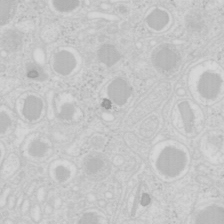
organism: Mouse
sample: Pancreas